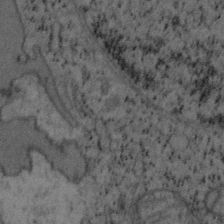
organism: Human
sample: HeLa cells